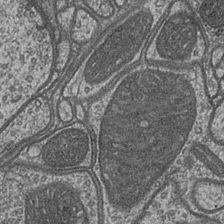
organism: Drosophila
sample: Optic medulla